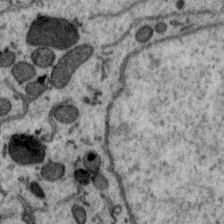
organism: Zebra finch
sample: Brain